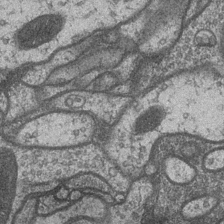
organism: Drosophila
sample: Optic medulla